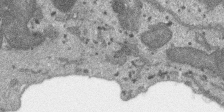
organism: Human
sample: Lung epithelial cells infected with SARS-CoV-2